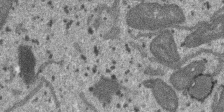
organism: Human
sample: Lung epithelial cells infected with SARS-CoV-2